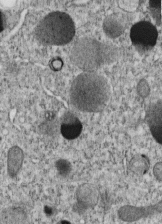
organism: C. elegans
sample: C. elegans embryo early stage